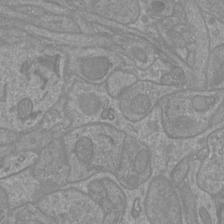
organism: Mouse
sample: Cortical neurons